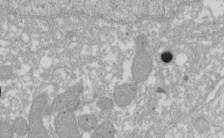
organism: Xenopus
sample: Cilia; centrioles in frog embryo cells